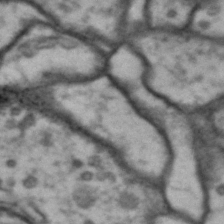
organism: Drosophila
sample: Brain